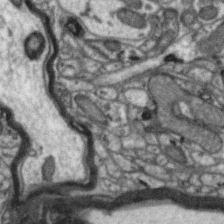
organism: Zebra finch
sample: Brain